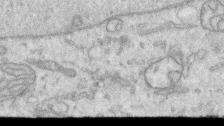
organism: Human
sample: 1205lu cells